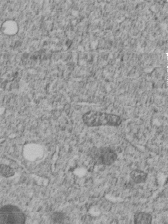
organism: C. elegans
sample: C. elegans embryo early stage